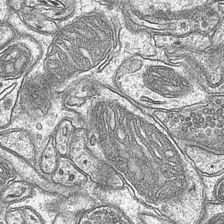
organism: Mouse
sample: CA1 Hippocampus